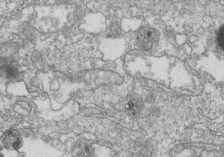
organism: Human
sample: HeLa cell HIV synapse